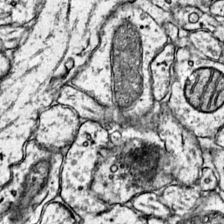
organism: Mouse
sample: Primary visual cortex